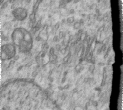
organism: Human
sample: Centriole in RPE cells